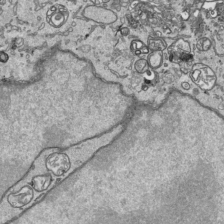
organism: Human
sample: Mitochondria in HCT116 cells